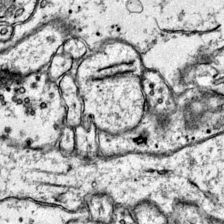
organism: Mouse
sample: Primary visual cortex